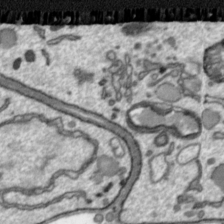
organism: Toxoplasma gondii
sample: Parasites in a vacuole inside a host cell